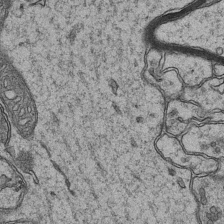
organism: Mouse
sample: CA1 Hippocampus